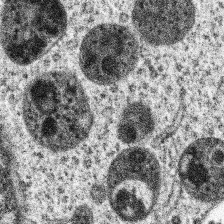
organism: Human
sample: HeLa cells